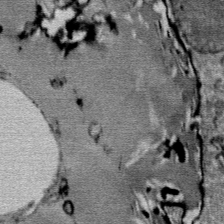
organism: Mouse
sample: Mouse Salivary gland